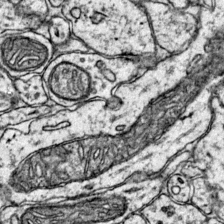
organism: Mouse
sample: Primary visual cortex